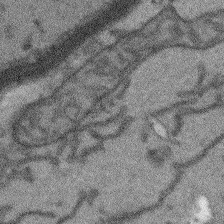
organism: Arabidopsis thaliana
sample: Root tip